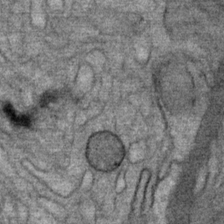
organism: Mouse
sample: Mouse Salivary gland